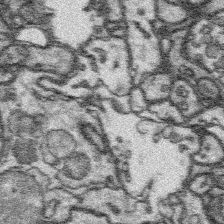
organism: Platynereis dumerilii